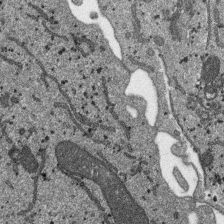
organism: Human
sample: Lung epithelial cells infected with SARS-CoV-2